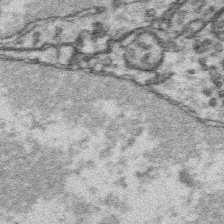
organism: Platynereis dumerilii